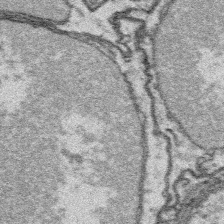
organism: Platynereis dumerilii